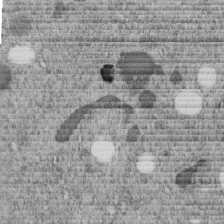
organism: C. elegans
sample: C. elegans embryo early stage